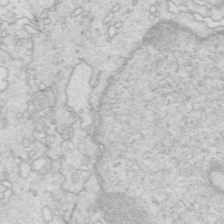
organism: Mouse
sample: Multiciliated cells